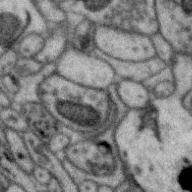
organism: Zebra finch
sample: Brain